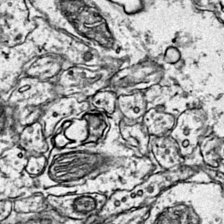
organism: Mouse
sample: Primary visual cortex